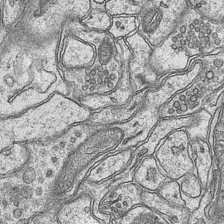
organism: Mouse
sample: CA1 Hippocampus